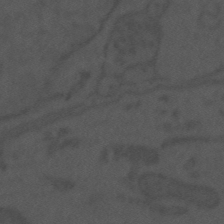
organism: Mouse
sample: Suprachiasmatic nucleus